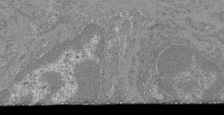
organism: Mouse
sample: Glomerulus